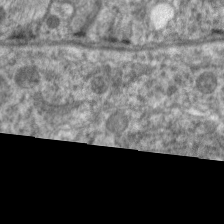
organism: C. elegans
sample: Pharynx